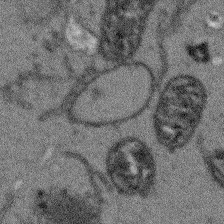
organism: Arabidopsis thaliana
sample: Root tip